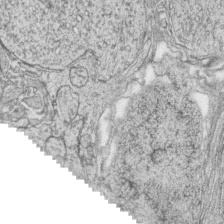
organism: Zebrafish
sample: synaptic ribbons in rod cells and cone cells